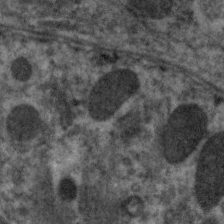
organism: C. elegans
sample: Pharynx